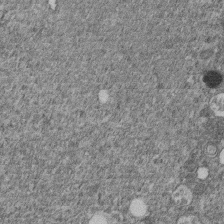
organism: C. elegans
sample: C. elegans embryo early stage